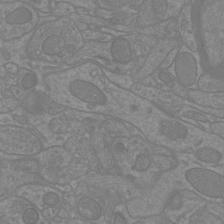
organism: Mouse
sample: Cortical neurons